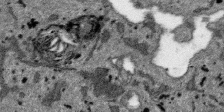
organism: Human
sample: Lung epithelial cells, uninfected (mock) control